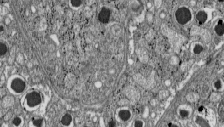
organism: C57BL Mouse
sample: Pancreatic islet